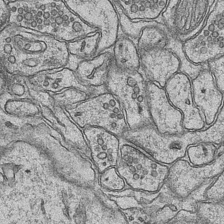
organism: Mouse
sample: CA1 Hippocampus